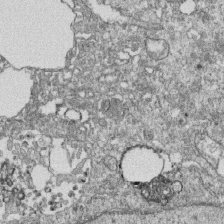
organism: Human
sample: HeLa cell HIV synapse